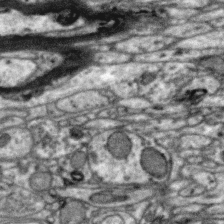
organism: Zebra finch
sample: Brain